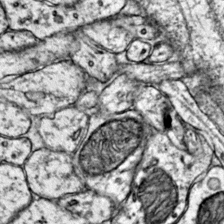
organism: Mouse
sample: Primary visual cortex